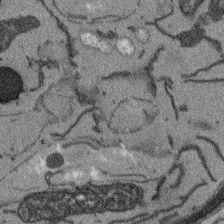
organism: Arabidopsis thaliana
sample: Root tip